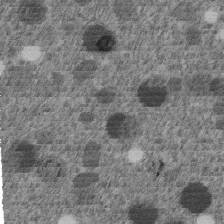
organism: C. elegans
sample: C. elegans embryo early stage